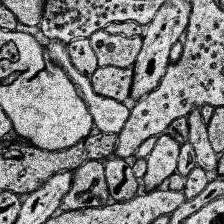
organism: Human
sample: Temporal Lobe